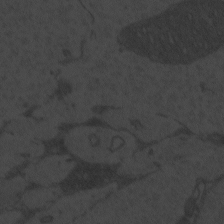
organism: Zebrafish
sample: Macrophage infected with Toxoplasma gondii